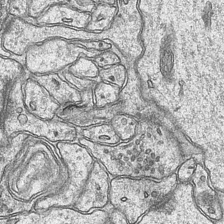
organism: Mouse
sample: CA1 Hippocampus